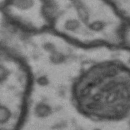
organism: Drosophila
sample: Brain